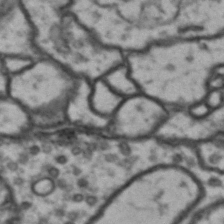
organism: Drosophila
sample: Brain